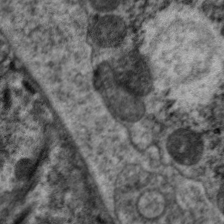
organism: C. elegans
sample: Pharynx